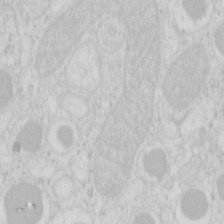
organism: Mouse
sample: Pancreas